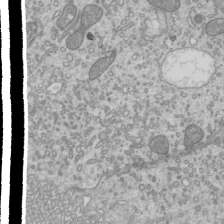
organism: Mouse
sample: Cilia; mouse epididymis